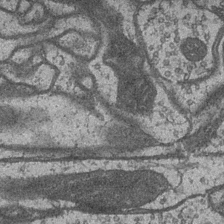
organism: Drosophila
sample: Optic medulla